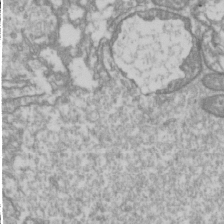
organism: Drosophila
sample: Cell division; meiosis; drosophila spermatocytes